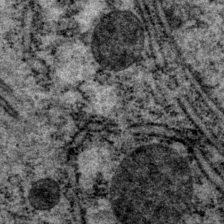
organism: P. pacificus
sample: Pharynx